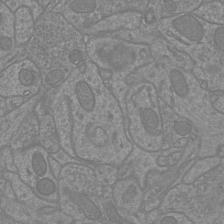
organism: Mouse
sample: Cortical neurons